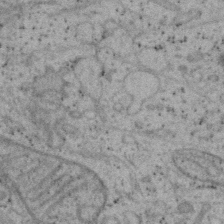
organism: Human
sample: HeLa cells